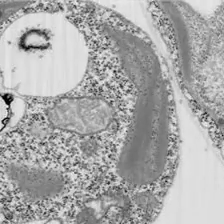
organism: Chlamydomonas reinhardtii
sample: Whole Cell